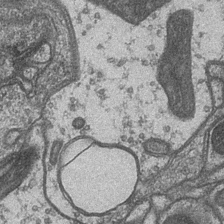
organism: Drosophila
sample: Optic medulla